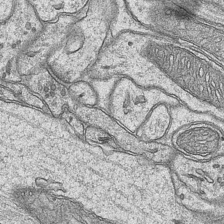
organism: Mouse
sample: CA1 Hippocampus